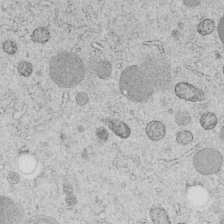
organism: C. elegans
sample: C. elegans embryo early stage